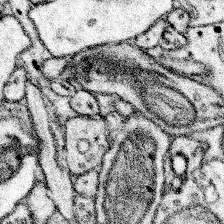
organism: Mouse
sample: Somatosensory cortex neuropil